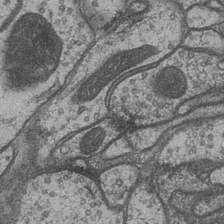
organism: Drosophila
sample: Optic medulla